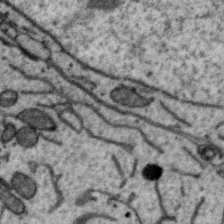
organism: Zebra finch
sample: Brain